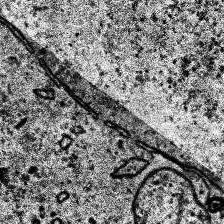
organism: Human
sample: Temporal Lobe